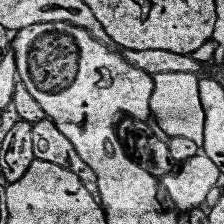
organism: Human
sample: Temporal Lobe